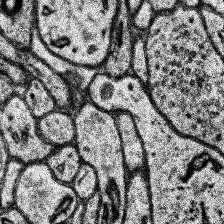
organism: Human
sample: Temporal Lobe